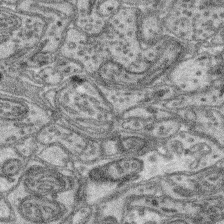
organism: Mouse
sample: Retina